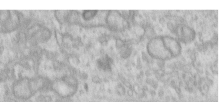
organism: Human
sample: Centriole in RPE cells